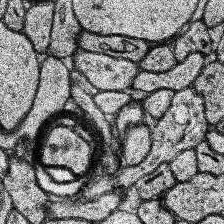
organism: Human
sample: Temporal Lobe